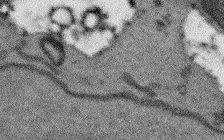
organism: Arabidopsis thaliana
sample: Root tip